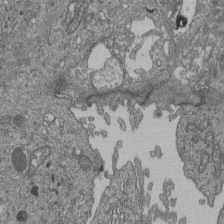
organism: Human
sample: Retinal organoid Rod and Cone cells